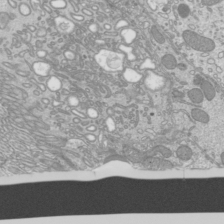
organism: Mouse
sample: Cilia; mouse epididymis